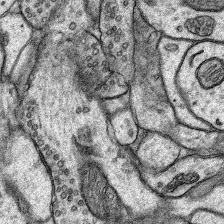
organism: Rat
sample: Hippocampus